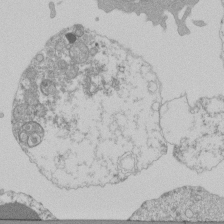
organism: Mouse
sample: Activated Pmel transgenic CD8+ T Cells